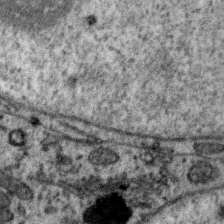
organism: Zebra finch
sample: Brain